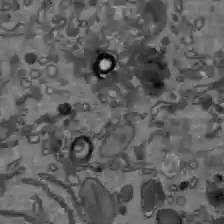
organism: C57BL Mouse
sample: Liver